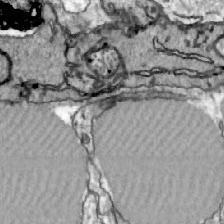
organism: Zebrafish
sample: Actinotrichia fibers